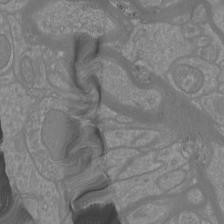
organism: Mouse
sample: Cortical neurons